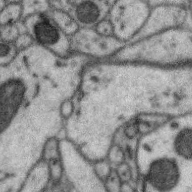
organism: Zebra finch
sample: Brain